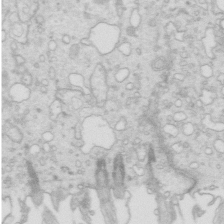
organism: Mouse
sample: Multiciliated cells